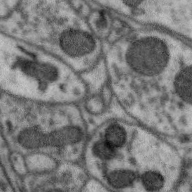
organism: Zebra finch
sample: Brain